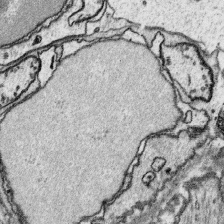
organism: Platynereis dumerilii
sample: Parapodia